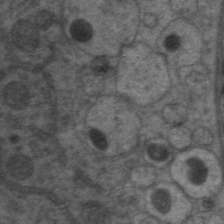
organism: C. elegans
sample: Pharynx